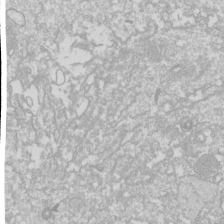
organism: Drosophila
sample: Cell division; meiosis; drosophila spermatocytes